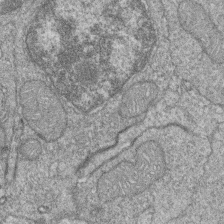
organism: Zebrafish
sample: Cilia; retinal pigment epithelium